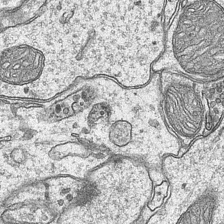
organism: Mouse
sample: CA1 Hippocampus